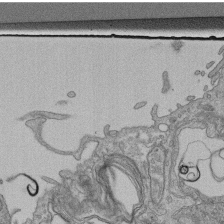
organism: Human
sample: Retinal organoid Rod and Cone cells